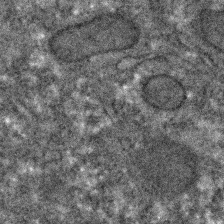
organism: C. elegans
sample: C. elegans embryo